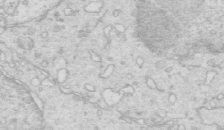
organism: Mouse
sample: Multiciliated cells